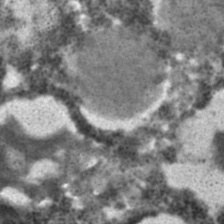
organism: C. elegans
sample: C. elegans embryo